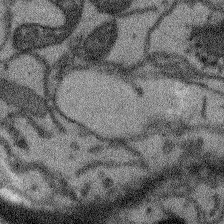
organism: Arabidopsis thaliana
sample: Root tip